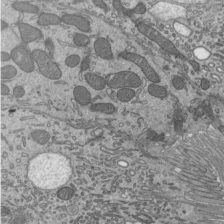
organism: Mouse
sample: Mouse epididymis efferent ductule cilia